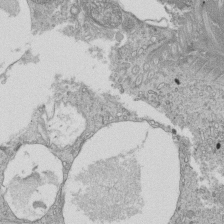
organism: Tetrahymena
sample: Cilia in tetrahymena